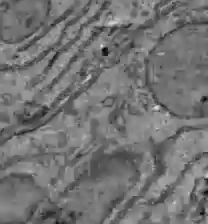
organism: C57BL Mouse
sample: Liver